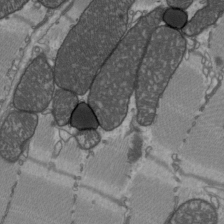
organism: C57BL Mouse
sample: Heart